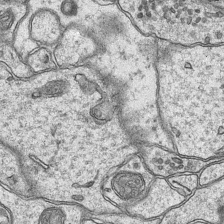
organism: Mouse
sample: CA1 Hippocampus